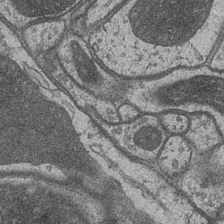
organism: Drosophila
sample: Optic medulla